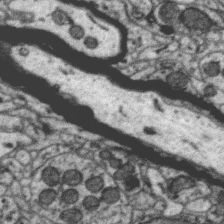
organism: Zebra finch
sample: Brain